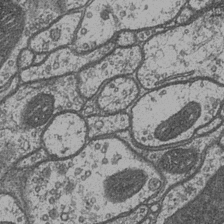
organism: Drosophila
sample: Optic medulla